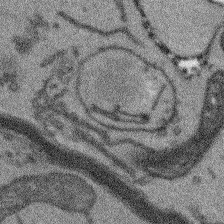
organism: Arabidopsis thaliana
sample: Root tip